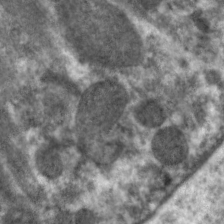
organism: C. elegans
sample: Pharynx